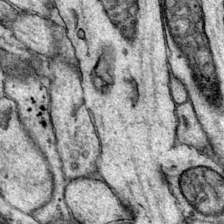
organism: Mouse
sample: Primary visual cortex